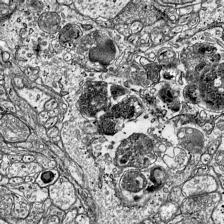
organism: Mouse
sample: Visual Cortex